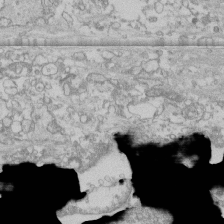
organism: Human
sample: CRL-1474